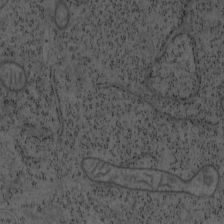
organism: Mouse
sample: OT-I killer T cells with ID8 ovarian cancer cells